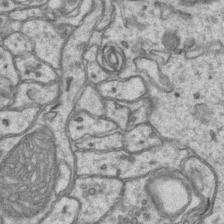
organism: Mouse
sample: CA1 Hippocampus